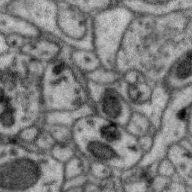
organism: Zebra finch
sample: Brain